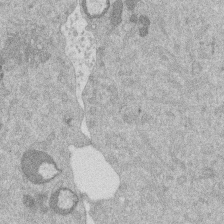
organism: Mouse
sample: Dividing mouse embryo 1 cell stage